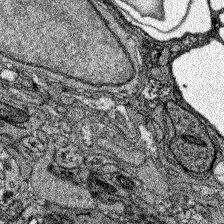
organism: Zebrafish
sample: Larval olfactory bulb